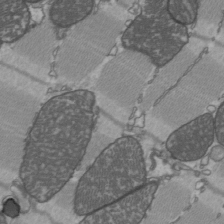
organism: C57BL Mouse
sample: Heart